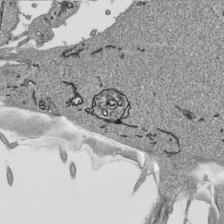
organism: Human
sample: Mitochondria in HCT116 cells